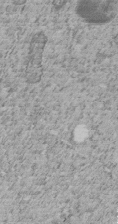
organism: C. elegans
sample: C. elegans embryo early stage